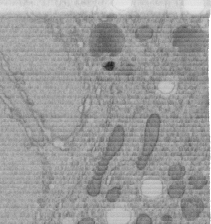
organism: C. elegans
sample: C. elegans embryo early stage